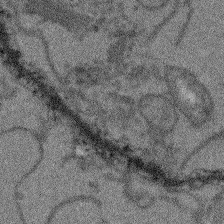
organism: Arabidopsis thaliana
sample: Root tip